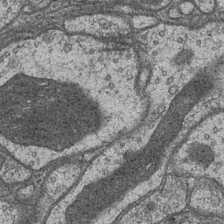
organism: Drosophila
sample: Optic medulla